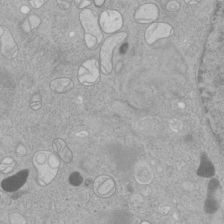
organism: Human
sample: Mitochondria in HCT116 cells